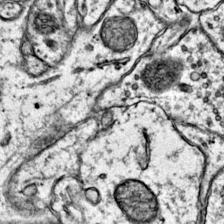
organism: Mouse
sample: Primary visual cortex